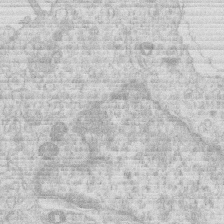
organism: Human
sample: Macrophage cells